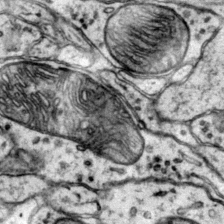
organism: Mouse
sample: Primary visual cortex